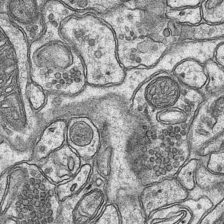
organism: Mouse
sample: CA1 Hippocampus